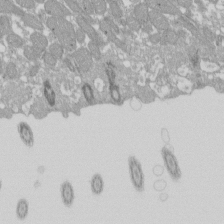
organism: Xenopus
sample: Cilia; centrioles in frog embryo cells